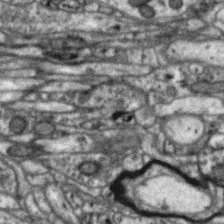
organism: Zebra finch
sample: Brain